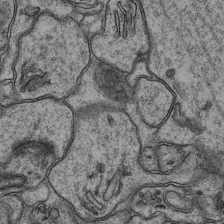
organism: Mouse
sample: CA1 Hippocampus